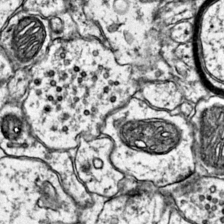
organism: Mouse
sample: Primary visual cortex